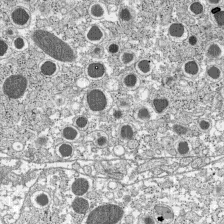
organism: C57BL Mouse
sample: Pancreatic islet